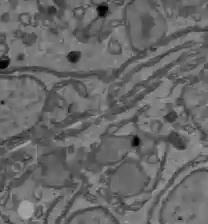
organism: C57BL Mouse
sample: Liver